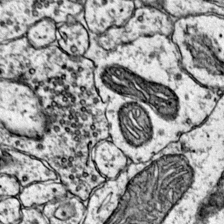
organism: Mouse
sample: Primary visual cortex